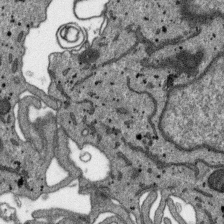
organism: Human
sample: Lung epithelial cells, uninfected (mock) control